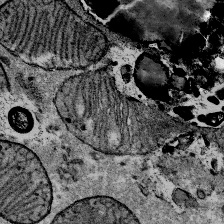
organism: Mouse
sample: Mouse Salivary gland